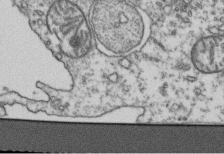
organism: Human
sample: Activated Jurkat CD4+ T cells